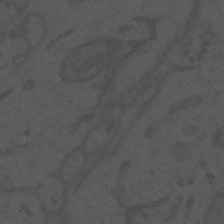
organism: Mouse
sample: Suprachiasmatic nucleus